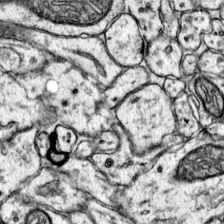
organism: Mouse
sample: Primary visual cortex